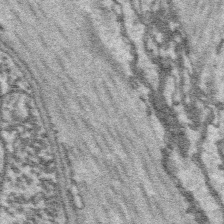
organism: Platynereis dumerilii